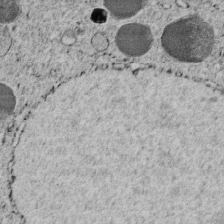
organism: C. elegans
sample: C. elegans embryo early stage